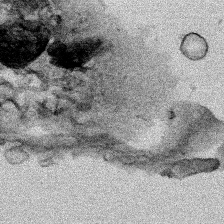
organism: Human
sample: Mitochondria in HCT116 cells